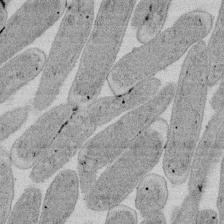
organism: E. coli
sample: Bacterial nucleoid